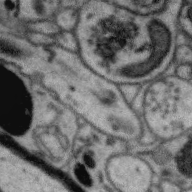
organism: Zebra finch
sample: Brain